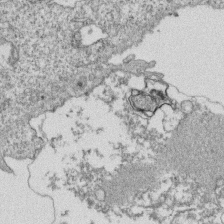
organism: Human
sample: HeLa cell HIV synapse